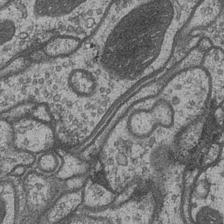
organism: Drosophila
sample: Optic medulla